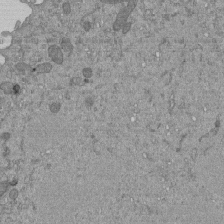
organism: Mouse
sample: ED-1 cell nuclei; centrioles